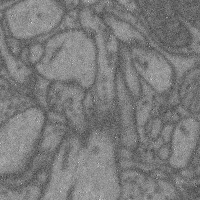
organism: Mouse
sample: Cerebral cortex